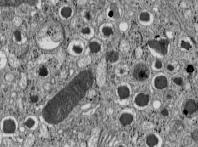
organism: C57BL Mouse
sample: Pancreatic islet